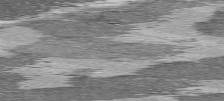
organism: C57BL Mouse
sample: Heart